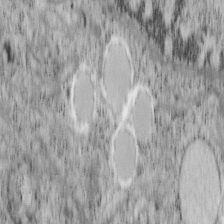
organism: Human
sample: HeLa cells